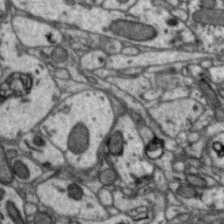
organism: Zebra finch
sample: Brain